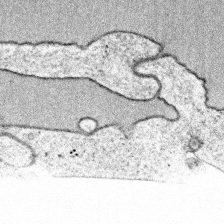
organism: Human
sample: HeLa cells